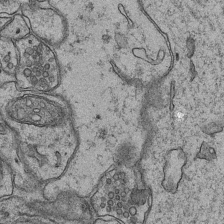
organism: Mouse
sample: CA1 Hippocampus